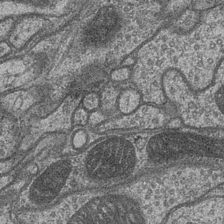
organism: Drosophila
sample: Optic medulla